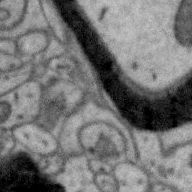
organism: Zebra finch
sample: Brain